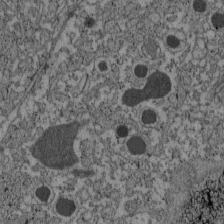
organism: C57BL Mouse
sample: Pancreatic islet